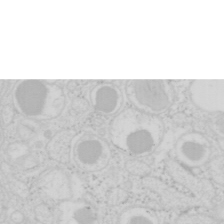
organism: Mouse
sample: Pancreas